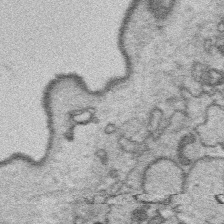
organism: Platynereis dumerilii